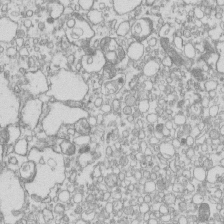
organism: Mouse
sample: Macrophages